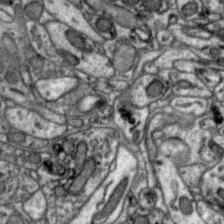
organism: Zebra finch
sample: Brain